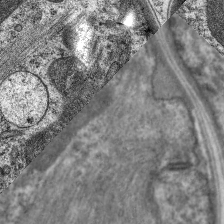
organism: C. elegans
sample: Pharynx